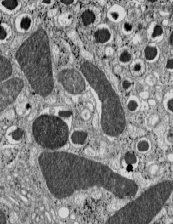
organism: C57BL Mouse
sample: Pancreatic islet